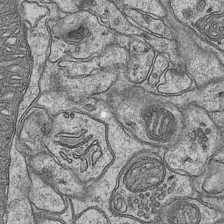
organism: Mouse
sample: CA1 Hippocampus